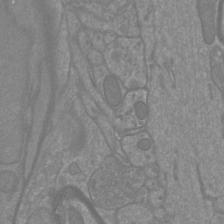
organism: Mouse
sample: Cortical neurons